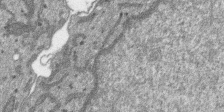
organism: Human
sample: Lung epithelial cells infected with SARS-CoV-2